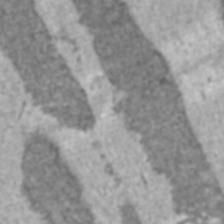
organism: C57BL Mouse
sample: Heart